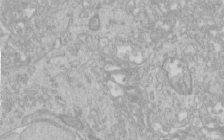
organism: Human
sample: Centriole in RPE cells